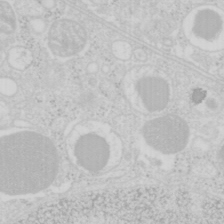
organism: Mouse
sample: Pancreas